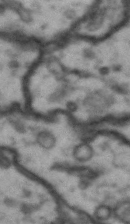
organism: Drosophila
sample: Brain